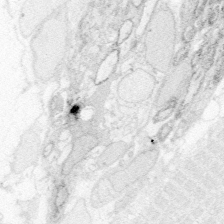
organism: Zebrafish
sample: Whole-Brain